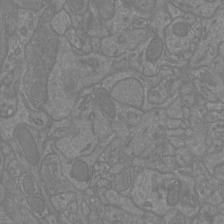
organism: Mouse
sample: Cortical neurons